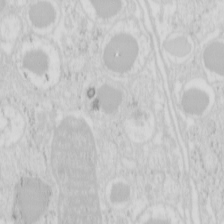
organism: Mouse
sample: Pancreas